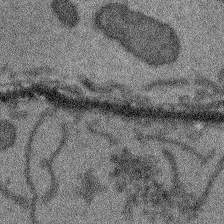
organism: Arabidopsis thaliana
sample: Root tip